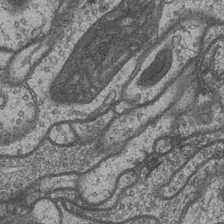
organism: Drosophila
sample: Optic medulla